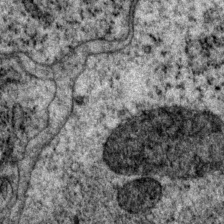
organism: P. pacificus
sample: Pharynx